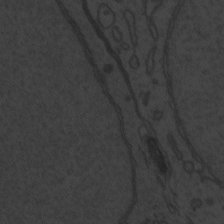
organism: Zebrafish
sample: Macrophage infected with Toxoplasma gondii